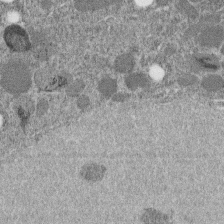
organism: C. elegans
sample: C. elegans embryo early stage